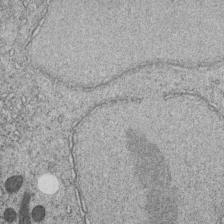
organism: C. elegans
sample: C. elegans embryo early stage